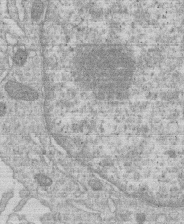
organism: Human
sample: Macrophage cells